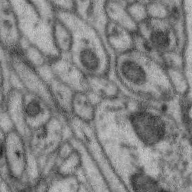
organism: Zebra finch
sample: Brain